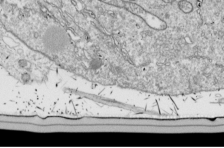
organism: Drosophila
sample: Cell division; meiosis; drosophila spermatocytes